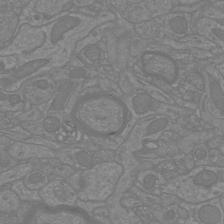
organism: Mouse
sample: Cortical neurons